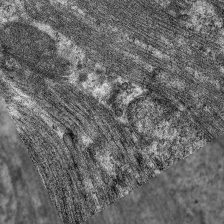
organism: C. elegans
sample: Pharynx